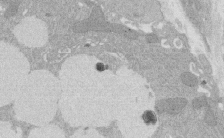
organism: Rat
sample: Salivary granule